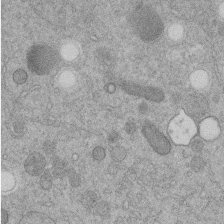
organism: C. elegans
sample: C. elegans embryo early stage